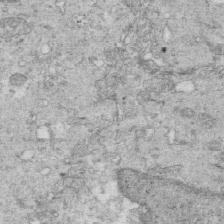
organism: Mouse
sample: Multiciliated cells